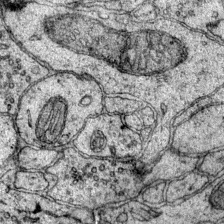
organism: Mouse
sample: Primary visual cortex